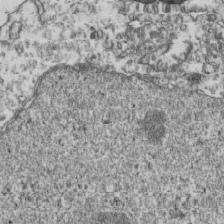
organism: Human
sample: Activated Jurkat CD4+ T cells